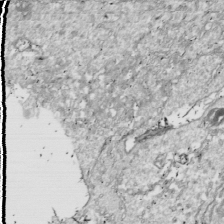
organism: Drosophila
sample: Cell division; meiosis; drosophila spermatocytes